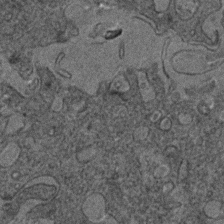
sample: Trachea